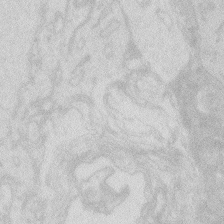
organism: Zebrafish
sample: Macrophage